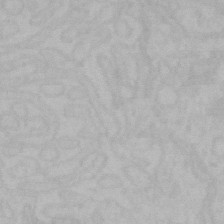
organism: Mouse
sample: Choroid plexus